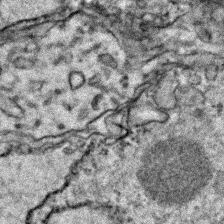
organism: Zebrafish